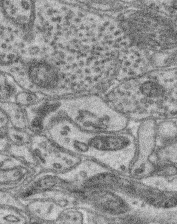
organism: Mouse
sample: Retina